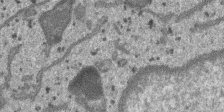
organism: Human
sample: Lung epithelial cells infected with SARS-CoV-2